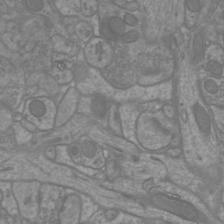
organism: Mouse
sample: Cortical neurons